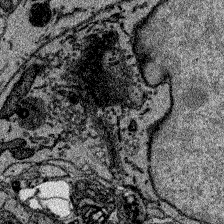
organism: Zebrafish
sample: Larval olfactory bulb